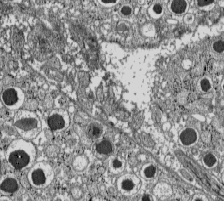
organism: C57BL Mouse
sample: Pancreatic islet